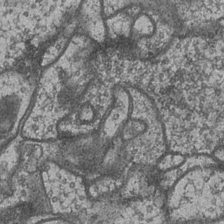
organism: Drosophila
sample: Optic medulla